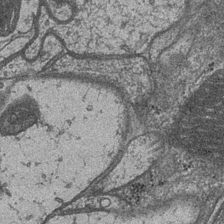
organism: Drosophila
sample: Optic medulla